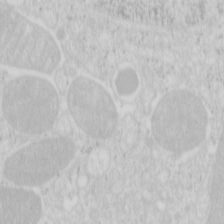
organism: Mouse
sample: Pancreas